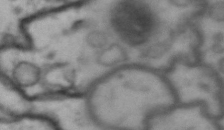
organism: Drosophila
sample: Brain